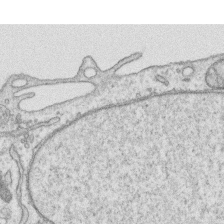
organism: Human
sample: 1205lu cells